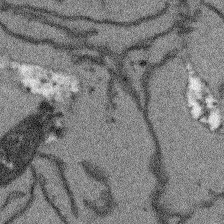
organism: Arabidopsis thaliana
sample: Root tip